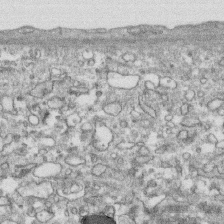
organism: Human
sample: CRL-1474